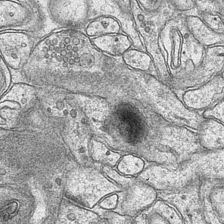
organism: Mouse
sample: CA1 Hippocampus